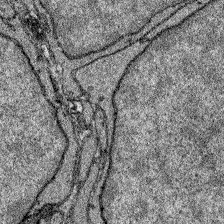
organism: Zebrafish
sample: Larval olfactory bulb